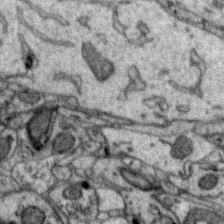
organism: Zebra finch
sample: Brain